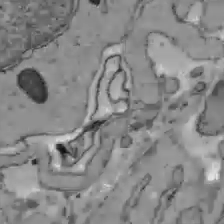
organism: C57BL Mouse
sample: Liver